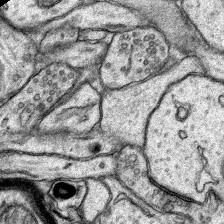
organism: Rat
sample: Hippocampus